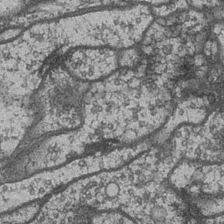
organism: Drosophila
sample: Optic medulla